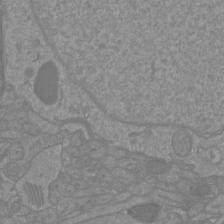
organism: Mouse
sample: Cortical neurons